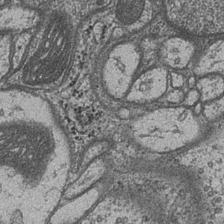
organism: Drosophila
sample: Optic medulla